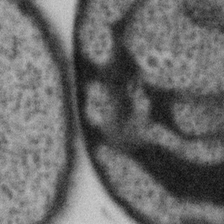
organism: Gemmata obscuriglobus